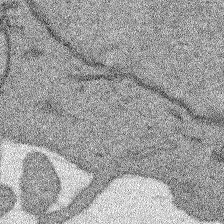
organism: Human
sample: HeLa cells